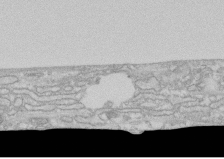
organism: Human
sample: CRL-1474